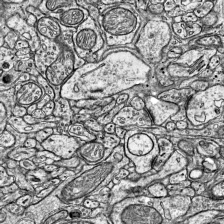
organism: Mouse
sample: Visual Cortex